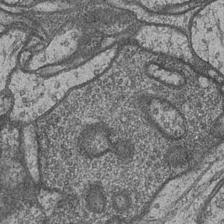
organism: Drosophila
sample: Optic medulla